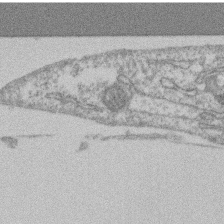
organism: Mouse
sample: T cell stromal cell synapse